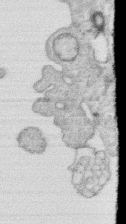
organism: Human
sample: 1205lu cells